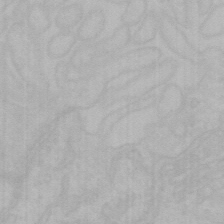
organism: Mouse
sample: Choroid plexus